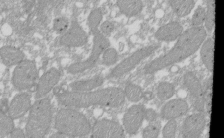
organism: Xenopus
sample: Cilia; centrioles in frog embryo cells